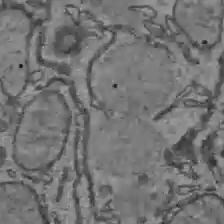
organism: C57BL Mouse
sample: Liver